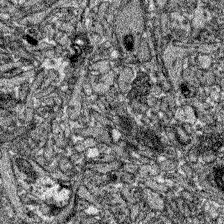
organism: Zebrafish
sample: Larval olfactory bulb